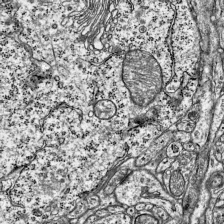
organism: Mouse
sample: Visual Cortex